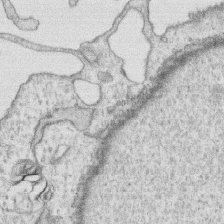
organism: Human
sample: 1205lu cells